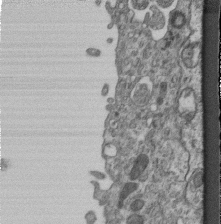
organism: Mouse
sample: Centriole in ependymal cells